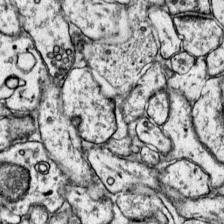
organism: Mouse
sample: Primary visual cortex